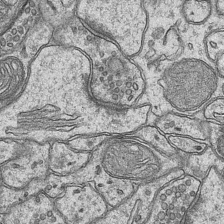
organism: Mouse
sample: CA1 Hippocampus